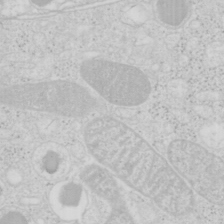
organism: Mouse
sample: Pancreas